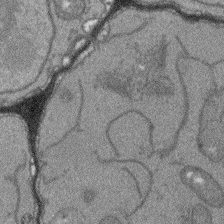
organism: Arabidopsis thaliana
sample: Root tip